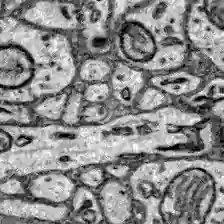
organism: Zebrafish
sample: Brain